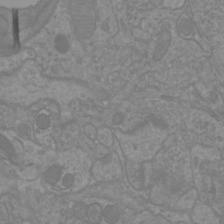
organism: Mouse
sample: Cortical neurons